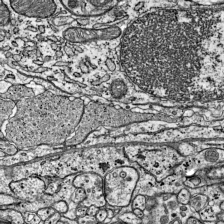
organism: Mouse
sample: Visual Cortex